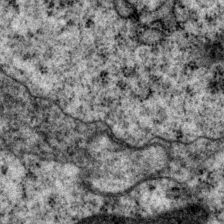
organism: P. pacificus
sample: Pharynx